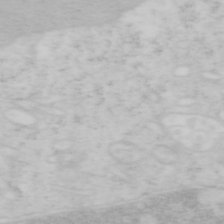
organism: Mouse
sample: OT-I killer T cells with ID8 ovarian cancer cells